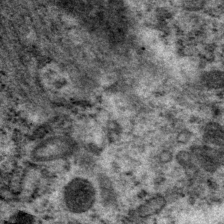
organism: P. pacificus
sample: Pharynx